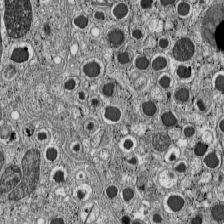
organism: C57BL Mouse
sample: Pancreatic islet